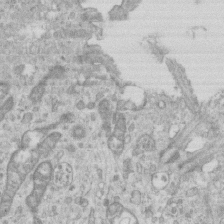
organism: Mouse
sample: Centriole in ependymal cells